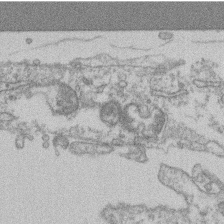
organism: Mouse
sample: T cell stromal cell synapse